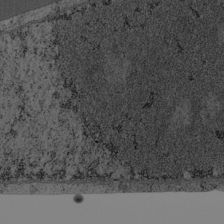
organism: African green monkey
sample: COS-7 cells